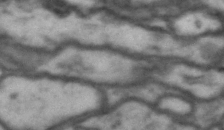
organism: Drosophila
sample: Brain